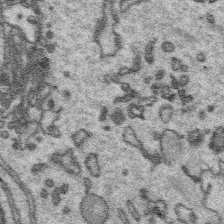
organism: Platynereis dumerilii